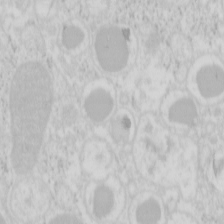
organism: Mouse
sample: Pancreas